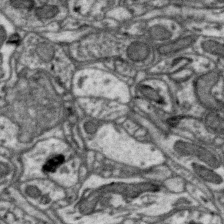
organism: Zebra finch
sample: Brain